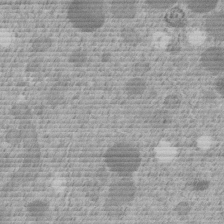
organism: C. elegans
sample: C. elegans embryo early stage